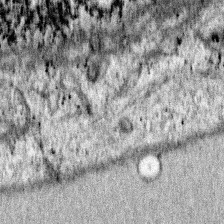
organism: Human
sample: HeLa cells